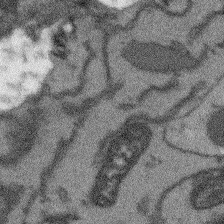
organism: Arabidopsis thaliana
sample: Root tip